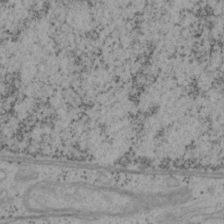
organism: Human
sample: HeLa cells